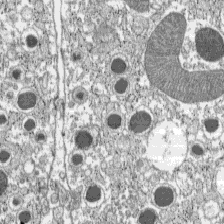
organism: C57BL Mouse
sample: Pancreatic islet